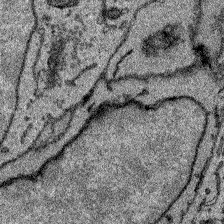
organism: Zebrafish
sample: Larval olfactory bulb